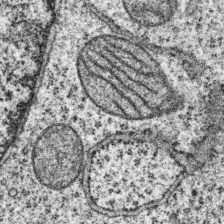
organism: Human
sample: HeLa cells